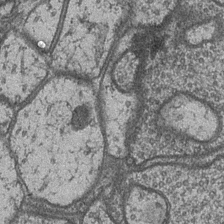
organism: Drosophila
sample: Optic medulla